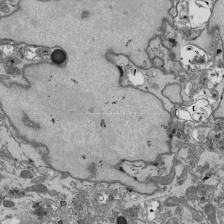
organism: Mouse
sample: ED-1 cell nuclei; centrioles